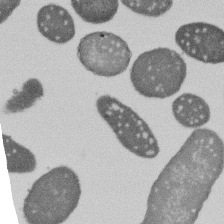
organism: E. coli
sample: Bacterial nucleoid